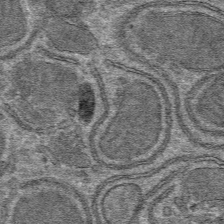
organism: Mouse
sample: Mouse hepatocytes